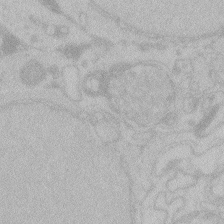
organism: Zebrafish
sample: Macrophage infected with Toxoplasma gondii